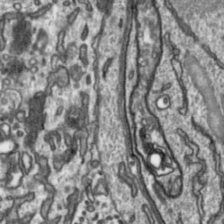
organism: Toxoplasma gondii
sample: Parasites in a vacuole inside a host cell